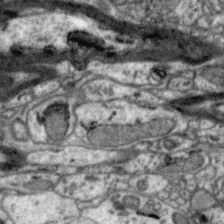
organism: Zebra finch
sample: Brain